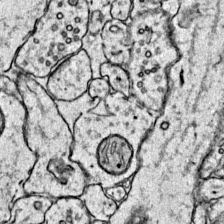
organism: Mouse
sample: Primary visual cortex